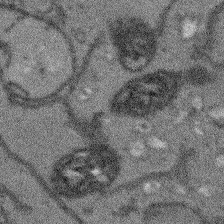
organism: Arabidopsis thaliana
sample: Root tip